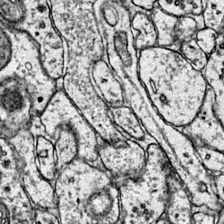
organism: Mouse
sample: Primary visual cortex